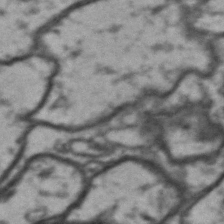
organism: Drosophila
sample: Brain